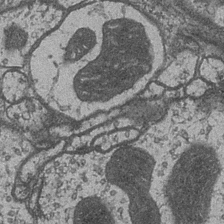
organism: Drosophila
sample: Optic medulla